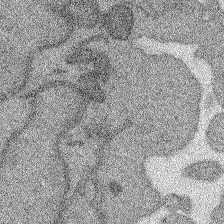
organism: Human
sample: HeLa cells